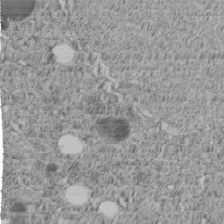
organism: C. elegans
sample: C. elegans embryo early stage